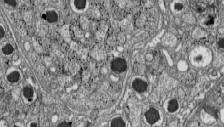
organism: C57BL Mouse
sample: Pancreatic islet